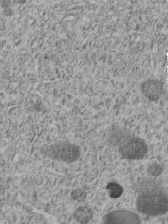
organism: C. elegans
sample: C. elegans embryo early stage